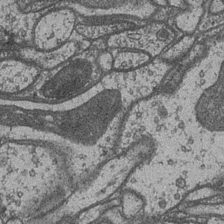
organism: Drosophila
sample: Optic medulla